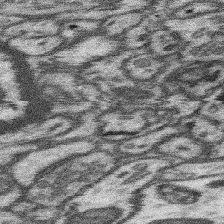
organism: Mouse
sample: Somatosensory cortex neuropil